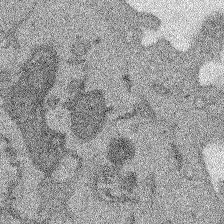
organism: Human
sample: HeLa cells